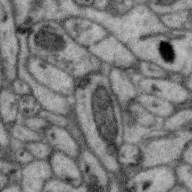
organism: Zebra finch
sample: Brain